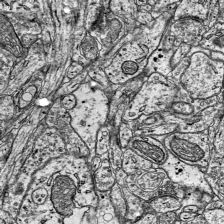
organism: Mouse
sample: Visual Cortex